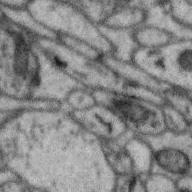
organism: Zebra finch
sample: Brain